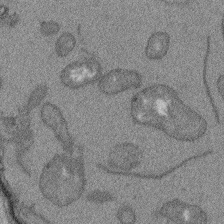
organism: Arabidopsis thaliana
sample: Root tip